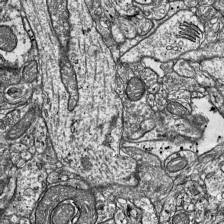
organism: Mouse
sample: Visual Cortex